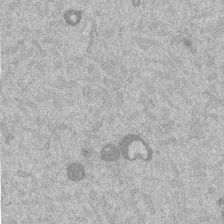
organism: Mouse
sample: Dividing mouse embryo 1 cell stage